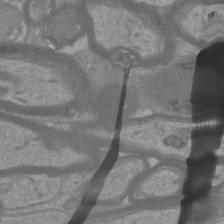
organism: Mouse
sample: Cortical neurons